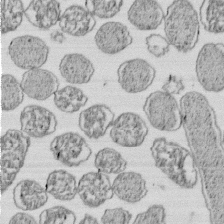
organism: E. coli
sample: Bacterial nucleoid